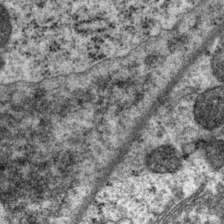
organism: P. pacificus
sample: Pharynx